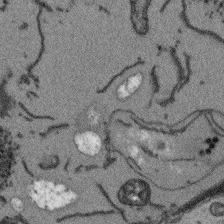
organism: Arabidopsis thaliana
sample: Root tip